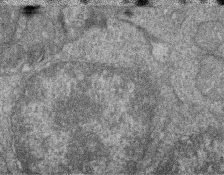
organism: Zebrafish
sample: Cilia; retinal pigment epithelium